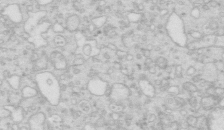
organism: Mouse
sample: Multiciliated cells